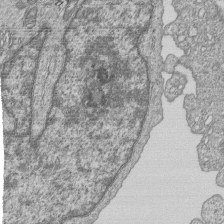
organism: Human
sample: MDA-MB-231 cells